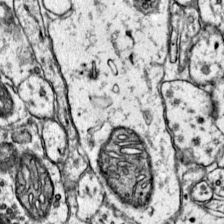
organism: Mouse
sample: Primary visual cortex